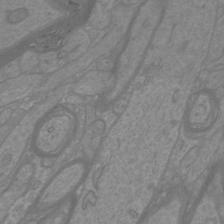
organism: Mouse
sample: Cortical neurons